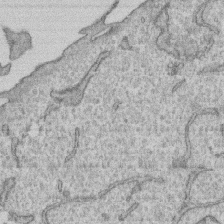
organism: Human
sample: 1205lu cells